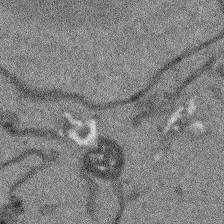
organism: Arabidopsis thaliana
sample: Root tip